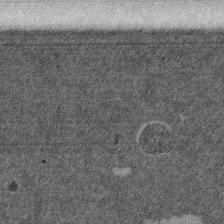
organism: Mouse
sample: Dividing mouse embryo 1 cell stage